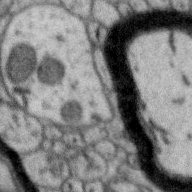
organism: Zebra finch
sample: Brain